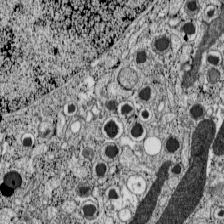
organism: C57BL Mouse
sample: Pancreatic islet